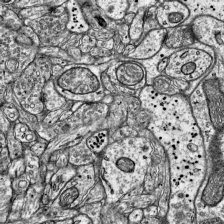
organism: Mouse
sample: Visual Cortex